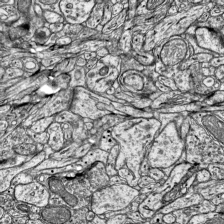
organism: Mouse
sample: Visual Cortex